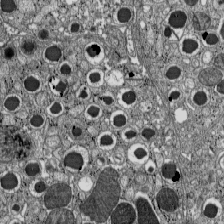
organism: C57BL Mouse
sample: Pancreatic islet